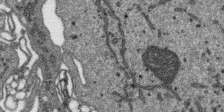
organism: Human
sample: Lung epithelial cells infected with SARS-CoV-2